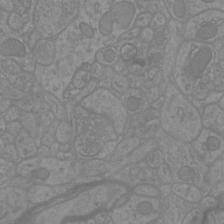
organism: Mouse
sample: Cortical neurons